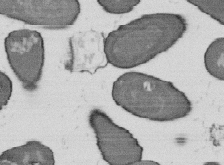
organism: B. subtilis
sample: Bacterial spore